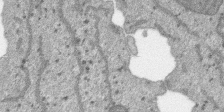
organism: Human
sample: Lung epithelial cells infected with SARS-CoV-2